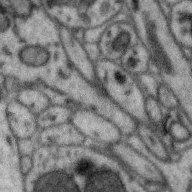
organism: Zebra finch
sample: Brain